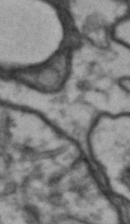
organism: Drosophila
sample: Brain